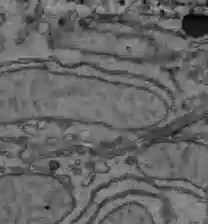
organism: C57BL Mouse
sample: Liver